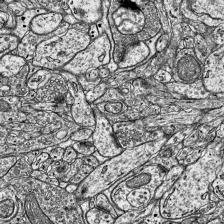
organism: Mouse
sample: Visual Cortex